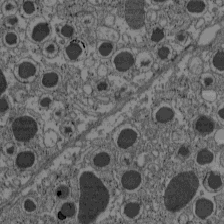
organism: C57BL Mouse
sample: Pancreatic islet